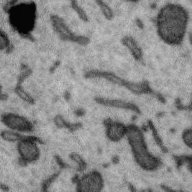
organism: Zebra finch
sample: Brain